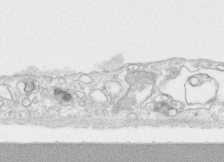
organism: Human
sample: CRL-1474